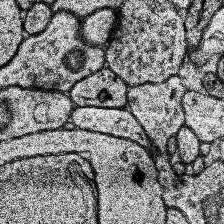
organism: Human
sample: Temporal Lobe